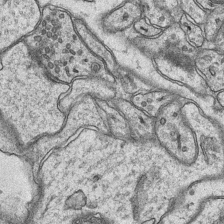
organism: Mouse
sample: CA1 Hippocampus